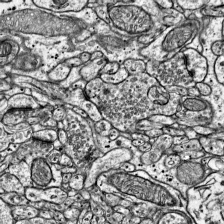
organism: Mouse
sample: Visual Cortex